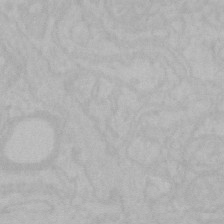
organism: Mouse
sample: Choroid plexus